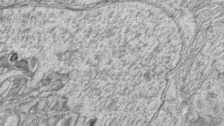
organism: Zebrafish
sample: synaptic ribbons in rod cells and cone cells